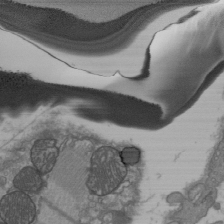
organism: C57BL Mouse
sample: Heart